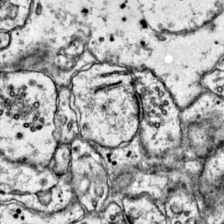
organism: Mouse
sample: Primary visual cortex